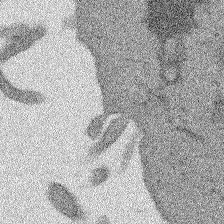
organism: Human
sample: HeLa cells